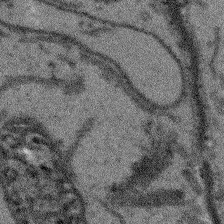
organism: Arabidopsis thaliana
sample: Root tip